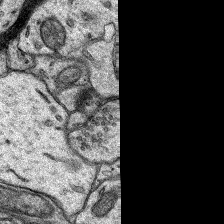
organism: Rat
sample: Hippocampus